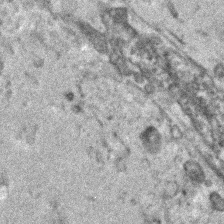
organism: Human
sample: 1205lu cells